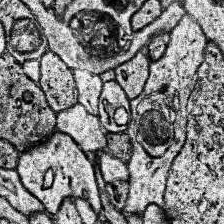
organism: Human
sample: Temporal Lobe